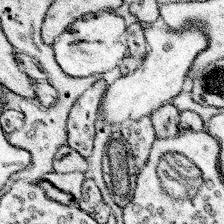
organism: Mouse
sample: Somatosensory cortex neuropil